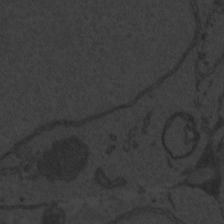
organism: Zebrafish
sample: Macrophage infected with Toxoplasma gondii